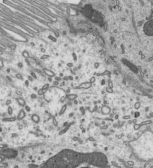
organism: Mouse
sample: Mouse epididymis efferent ductule cilia